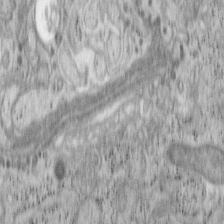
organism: Human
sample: HeLa cells